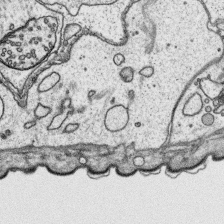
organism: Platynereis dumerilii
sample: Parapodia